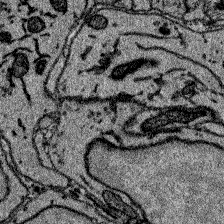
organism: Zebrafish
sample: Larval olfactory bulb